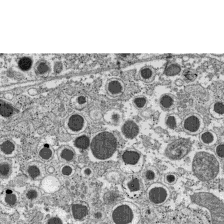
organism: C57BL Mouse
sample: Pancreatic islet